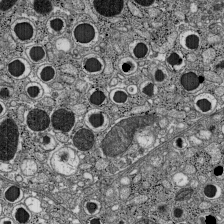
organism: C57BL Mouse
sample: Pancreatic islet